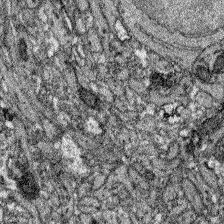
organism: Zebrafish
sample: Larval olfactory bulb